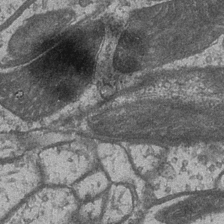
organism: Drosophila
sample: Optic medulla